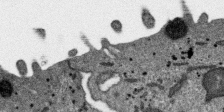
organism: Human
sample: Lung epithelial cells, uninfected (mock) control